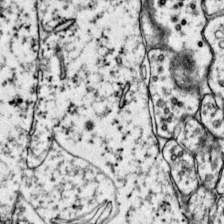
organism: Mouse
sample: Primary visual cortex